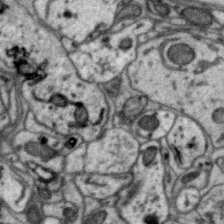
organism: Zebra finch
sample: Brain